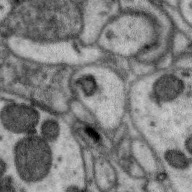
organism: Zebra finch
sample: Brain